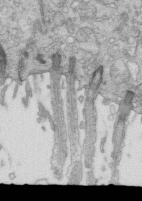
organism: Mouse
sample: Multiciliated cells